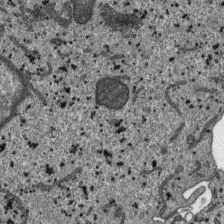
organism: Human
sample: Lung epithelial cells infected with SARS-CoV-2